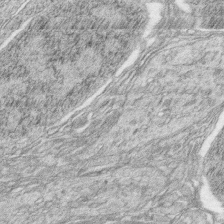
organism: Zebrafish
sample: synaptic ribbons in rod cells and cone cells